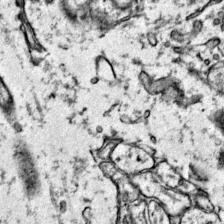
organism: Mouse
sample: Primary visual cortex